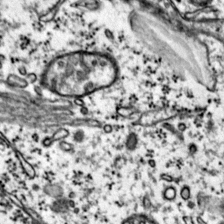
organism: Mouse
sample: Primary visual cortex